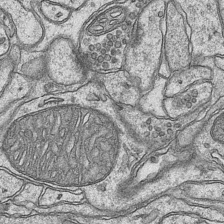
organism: Mouse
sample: CA1 Hippocampus